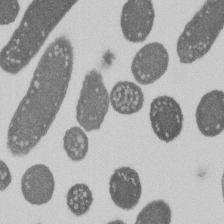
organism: E. coli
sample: Bacterial nucleoid